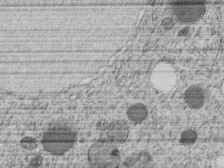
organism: C. elegans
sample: C. elegans embryo early stage